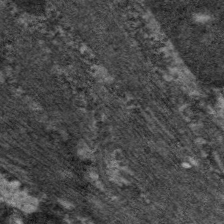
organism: C. elegans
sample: Pharynx